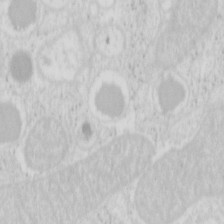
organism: Mouse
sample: Pancreas